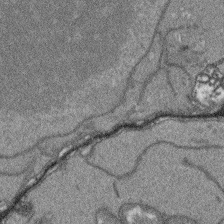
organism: Arabidopsis thaliana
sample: Root tip